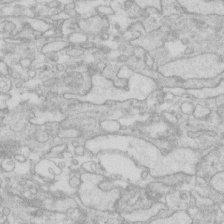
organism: Human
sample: Fibroblast cells